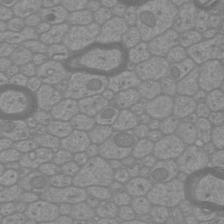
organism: Mouse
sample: Cortical neurons